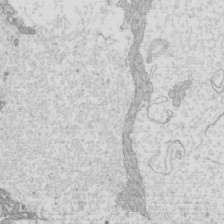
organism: Mouse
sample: Cilia; mouse epididymis